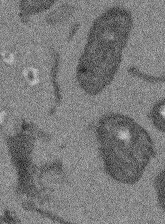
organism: Arabidopsis thaliana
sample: Root tip